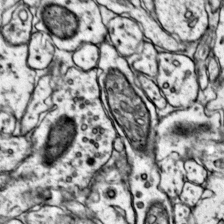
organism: Mouse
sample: Primary visual cortex